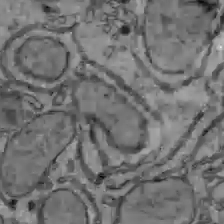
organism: C57BL Mouse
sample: Liver